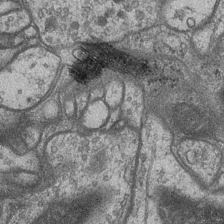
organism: Drosophila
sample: Optic medulla